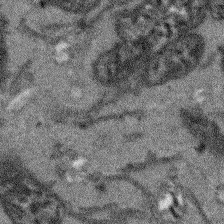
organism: Arabidopsis thaliana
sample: Root tip